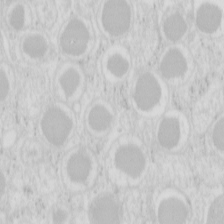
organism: Mouse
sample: Pancreas